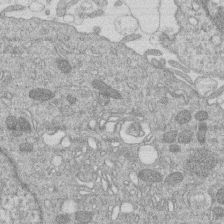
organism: Human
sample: Macrophage cells